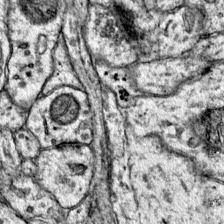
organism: Mouse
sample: Primary visual cortex